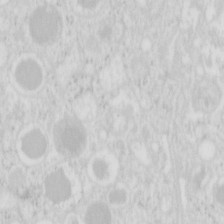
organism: Mouse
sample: Pancreas